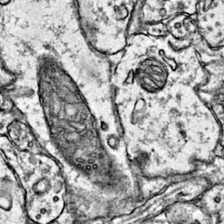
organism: Mouse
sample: Primary visual cortex